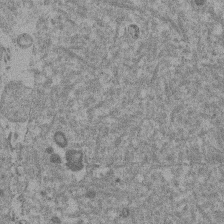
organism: Mouse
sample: Dividing mouse embryo 1 cell stage